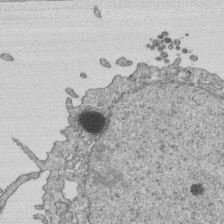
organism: Human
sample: HeLa cell HIV synapse